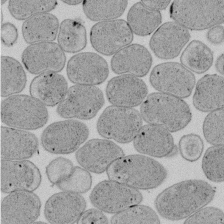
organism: E. coli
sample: Bacterial nucleoid